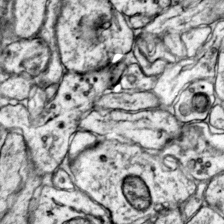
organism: Mouse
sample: Primary visual cortex